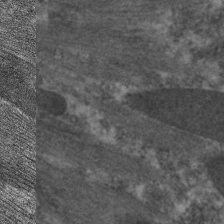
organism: C. elegans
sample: Pharynx